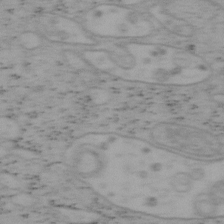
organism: Mouse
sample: OT-I killer T cells with ID8 ovarian cancer cells